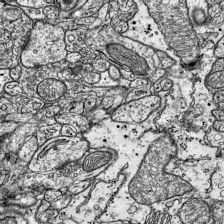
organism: Mouse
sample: Visual Cortex